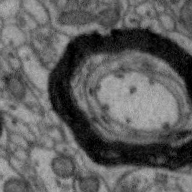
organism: Zebra finch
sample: Brain